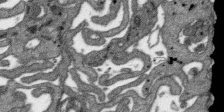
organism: Human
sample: Lung epithelial cells, uninfected (mock) control